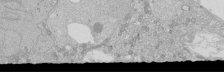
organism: Human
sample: Caco-2 cells